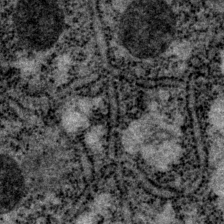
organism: P. pacificus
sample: Pharynx